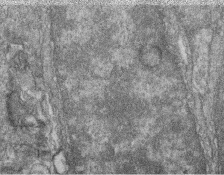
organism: Zebrafish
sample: Cilia; retinal pigment epithelium